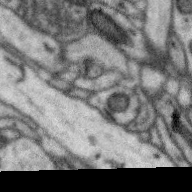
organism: Zebra finch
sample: Brain